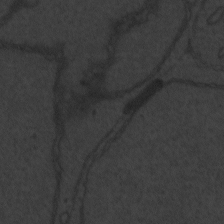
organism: Zebrafish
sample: Macrophage infected with Toxoplasma gondii